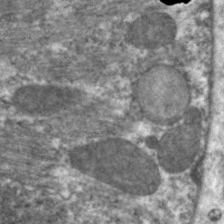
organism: C. elegans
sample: Pharynx